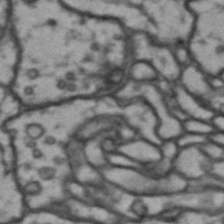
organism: Drosophila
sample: Brain